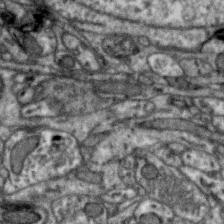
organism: Zebra finch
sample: Brain